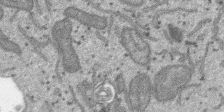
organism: Human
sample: Lung epithelial cells infected with SARS-CoV-2